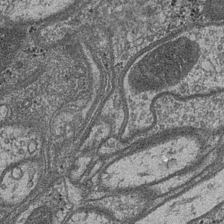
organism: Drosophila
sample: Optic medulla